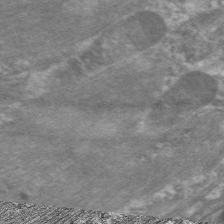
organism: C. elegans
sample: Pharynx